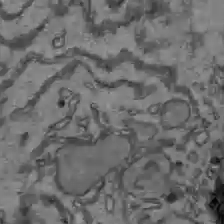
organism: C57BL Mouse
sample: Liver